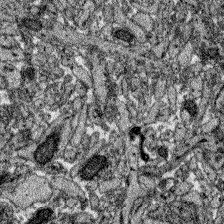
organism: Zebrafish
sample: Larval olfactory bulb